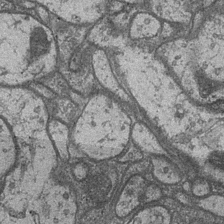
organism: Drosophila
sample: Optic medulla